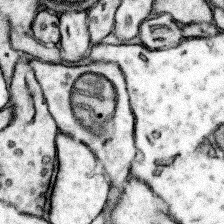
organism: Mouse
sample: Somatosensory cortex neuropil